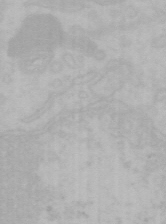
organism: Mouse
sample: Choroid plexus